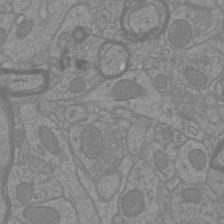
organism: Mouse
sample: Cortical neurons